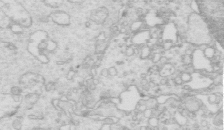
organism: Mouse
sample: Multiciliated cells